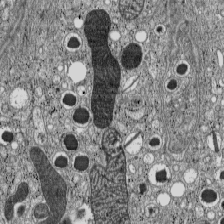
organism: C57BL Mouse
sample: Pancreatic islet